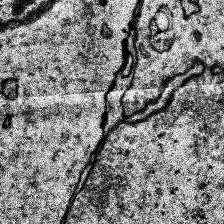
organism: Human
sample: Temporal Lobe